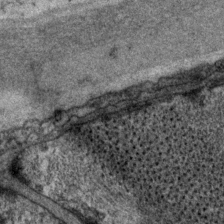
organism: P. pacificus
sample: Pharynx